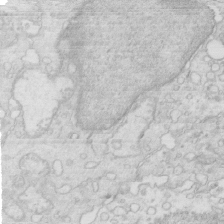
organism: Mouse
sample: Multiciliated cells